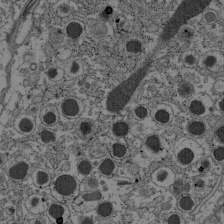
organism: C57BL Mouse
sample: Pancreatic islet